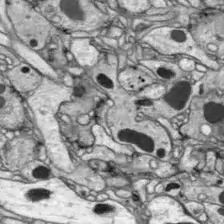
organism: Drosophila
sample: Optic lobe